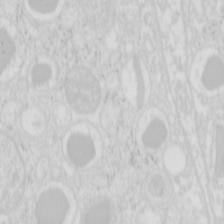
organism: Mouse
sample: Pancreas